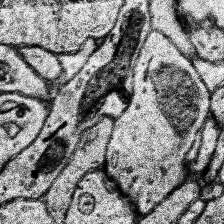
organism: Human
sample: Temporal Lobe